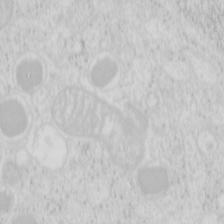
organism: Mouse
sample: Pancreas